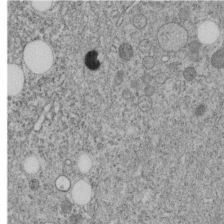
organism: C. elegans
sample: C. elegans embryo early stage